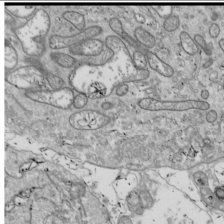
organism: Drosophila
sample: Cell division; meiosis; drosophila spermatocytes